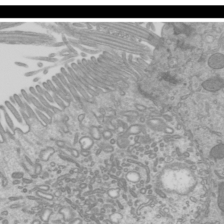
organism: Mouse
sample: Cilia; mouse epididymis